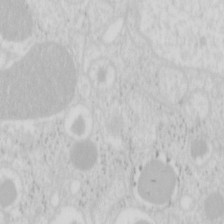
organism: Mouse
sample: Pancreas